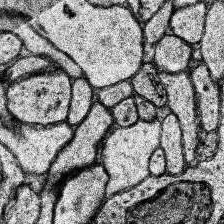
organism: Human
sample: Temporal Lobe